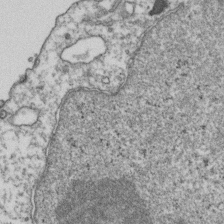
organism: Human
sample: Activated Jurkat CD4+ T cells